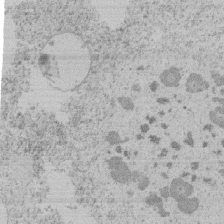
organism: Tetrahymena